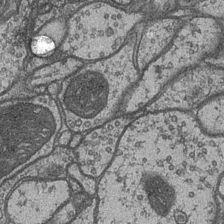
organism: Drosophila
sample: Optic medulla